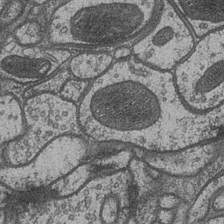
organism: Drosophila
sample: Optic medulla